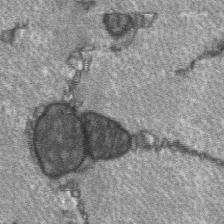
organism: C57BL Mouse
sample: Soleus